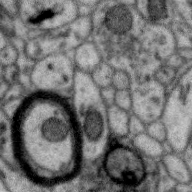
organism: Zebra finch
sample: Brain